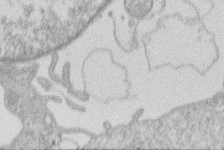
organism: Human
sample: Macrophage cells